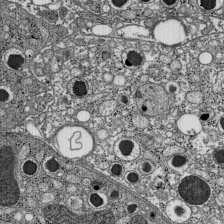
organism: C57BL Mouse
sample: Pancreatic islet